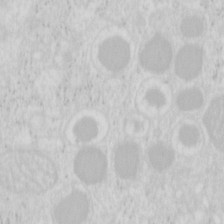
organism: Mouse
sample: Pancreas